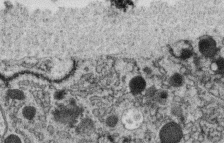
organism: C. elegans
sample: C. elegans oocyte; sperm cells